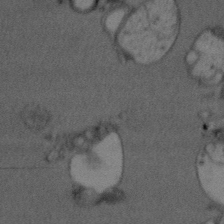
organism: Human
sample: HeLa cells